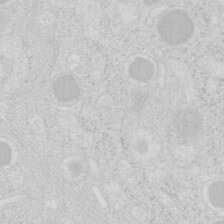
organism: Mouse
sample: Pancreas